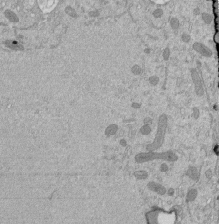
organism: Mouse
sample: ED-1 cell nuclei; centrioles